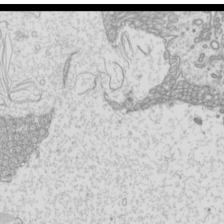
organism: Mouse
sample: Cilia; mouse epididymis